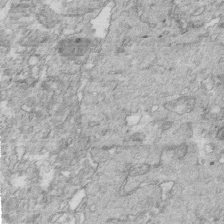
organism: Mouse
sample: Multiciliated cells